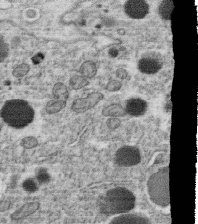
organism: C. elegans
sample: C. elegans oocyte; sperm cells